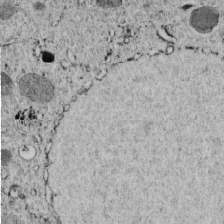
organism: C. elegans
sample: C. elegans embryo early stage